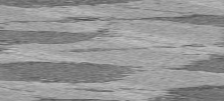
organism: C57BL Mouse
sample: Heart